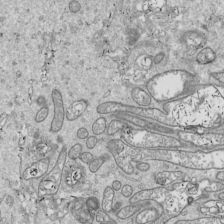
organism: Drosophila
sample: Cell division; meiosis; drosophila spermatocytes